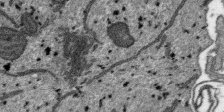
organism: Human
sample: Lung epithelial cells, uninfected (mock) control